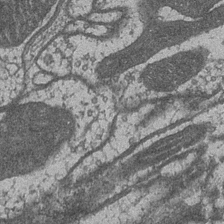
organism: Drosophila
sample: Optic medulla